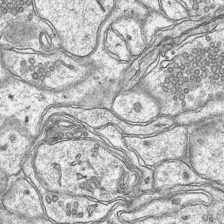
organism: Mouse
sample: CA1 Hippocampus